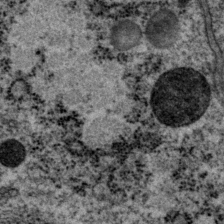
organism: P. pacificus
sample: Pharynx